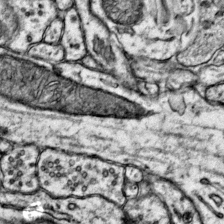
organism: Mouse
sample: Primary visual cortex